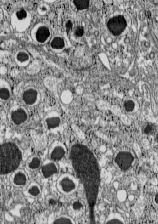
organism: C57BL Mouse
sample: Pancreatic islet